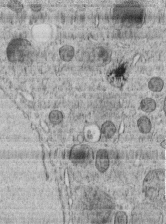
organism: C. elegans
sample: C. elegans embryo early stage